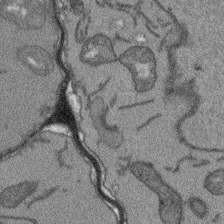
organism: Arabidopsis thaliana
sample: Root tip